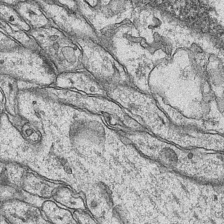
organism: Mouse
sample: CA1 Hippocampus